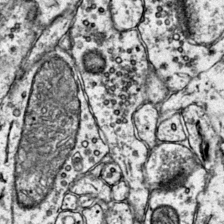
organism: Mouse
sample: Primary visual cortex